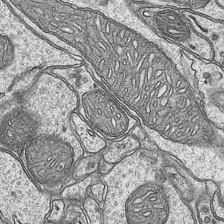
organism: Mouse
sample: CA1 Hippocampus